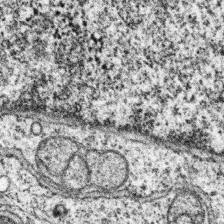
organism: Human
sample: HeLa cells